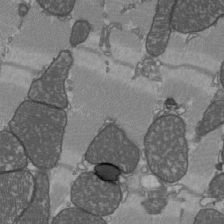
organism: C57BL Mouse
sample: Heart